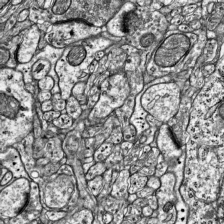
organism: Mouse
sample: Visual Cortex